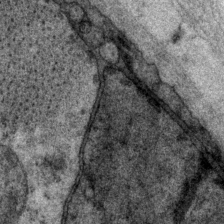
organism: P. pacificus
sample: Pharynx